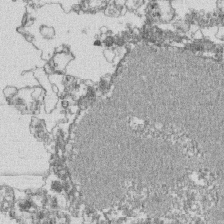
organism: Human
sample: HeLa cell HIV synapse